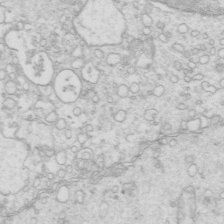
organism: Mouse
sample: Multiciliated cells